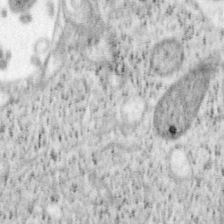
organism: Mouse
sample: OT-I killer T cells with ID8 ovarian cancer cells